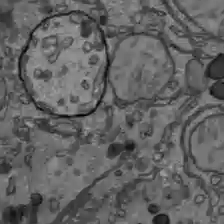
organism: C57BL Mouse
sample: Liver